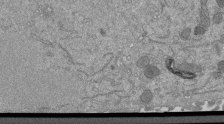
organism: Mouse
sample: ED-1 cell nuclei; centrioles